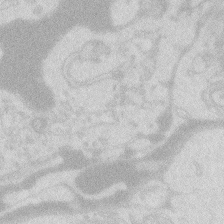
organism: Zebrafish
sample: Macrophage